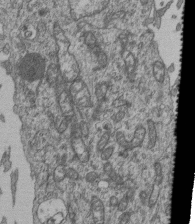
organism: Human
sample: Retinal organoid Rod and Cone cells